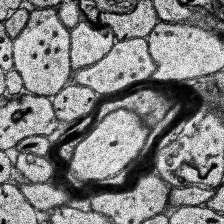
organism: Human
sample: Temporal Lobe